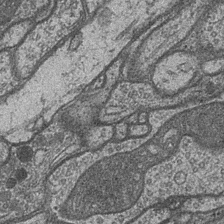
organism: Drosophila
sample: Optic medulla